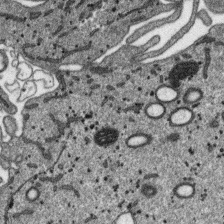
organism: Human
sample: Lung epithelial cells infected with SARS-CoV-2